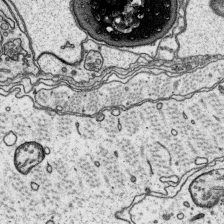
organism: Platynereis dumerilii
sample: Parapodia